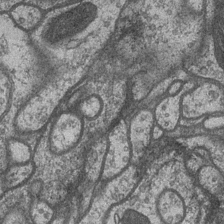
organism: Drosophila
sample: Optic medulla